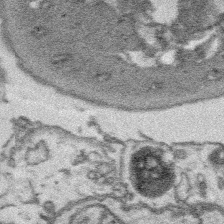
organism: Platynereis dumerilii